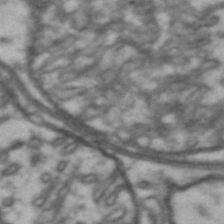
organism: Drosophila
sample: Brain